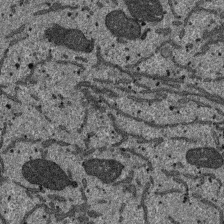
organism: Human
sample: Lung epithelial cells infected with SARS-CoV-2